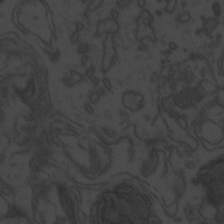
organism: Zebrafish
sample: Macrophage infected with Toxoplasma gondii